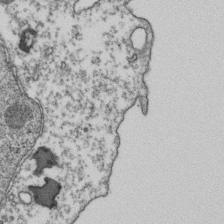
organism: Human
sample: Activated Jurkat CD4+ T cells